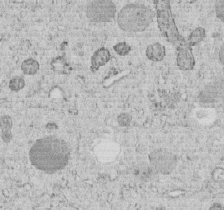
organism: C. elegans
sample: C. elegans embryo early stage